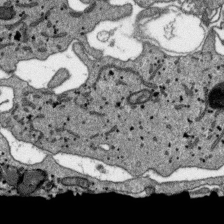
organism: Human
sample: Lung epithelial cells, uninfected (mock) control